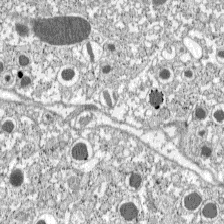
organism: C57BL Mouse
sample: Pancreatic islet